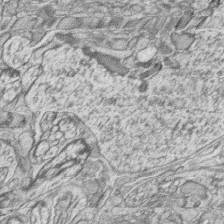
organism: Zebrafish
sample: synaptic ribbons in rod cells and cone cells